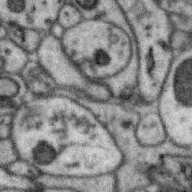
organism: Zebra finch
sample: Brain